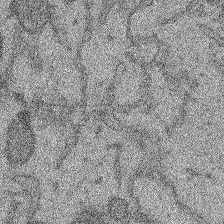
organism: Human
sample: HeLa cells